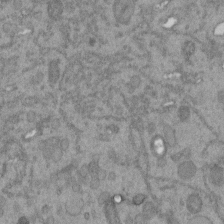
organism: C. elegans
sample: C. elegans embryo early stage